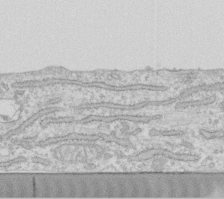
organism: Human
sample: Fibroblast cells